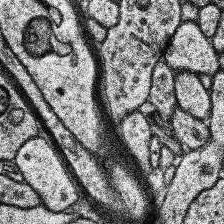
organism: Human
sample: Temporal Lobe